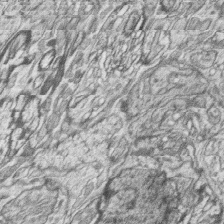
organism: Zebrafish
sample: synaptic ribbons in rod cells and cone cells